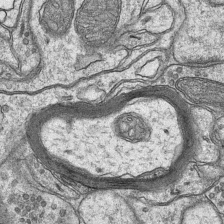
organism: Mouse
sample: CA1 Hippocampus